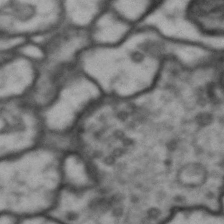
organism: Drosophila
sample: Brain